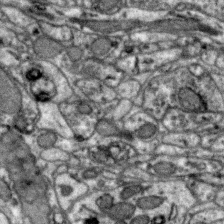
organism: Zebra finch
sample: Brain